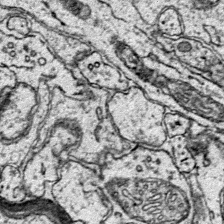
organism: Mouse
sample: Primary visual cortex